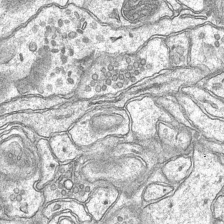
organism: Mouse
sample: CA1 Hippocampus